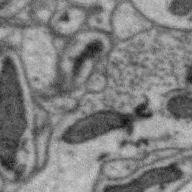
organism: Zebra finch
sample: Brain